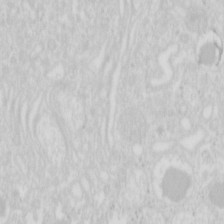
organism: Mouse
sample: Pancreas